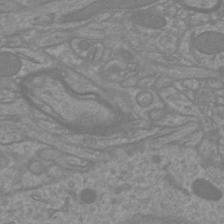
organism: Mouse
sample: Cortical neurons